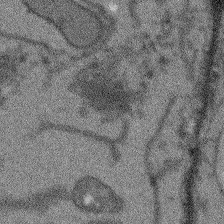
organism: Arabidopsis thaliana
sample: Root tip